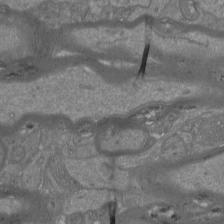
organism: Mouse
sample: Cortical neurons